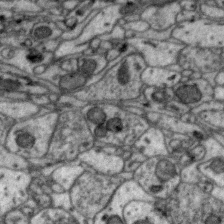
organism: Zebra finch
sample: Brain